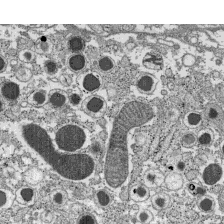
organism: C57BL Mouse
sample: Pancreatic islet